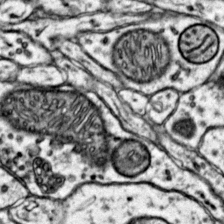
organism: Mouse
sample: Primary visual cortex